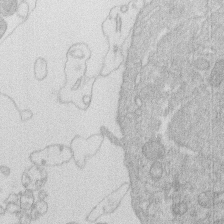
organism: Human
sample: Macrophage cells